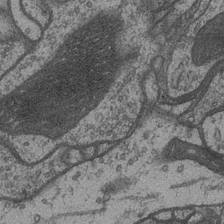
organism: Drosophila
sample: Optic medulla